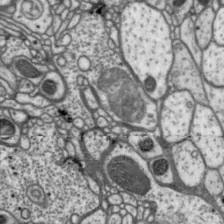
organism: Drosophila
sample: Protocerebral bridge